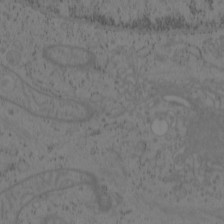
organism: Human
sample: HeLa cells